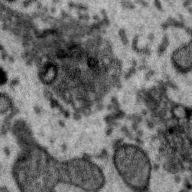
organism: Zebra finch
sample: Brain